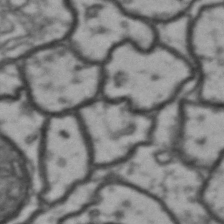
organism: Drosophila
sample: Brain